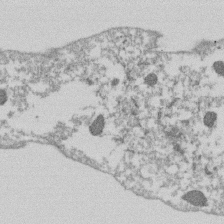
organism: Dictyostelium discoideum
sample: Dictyostelium multivesicular bodies